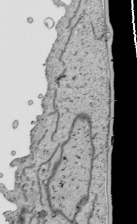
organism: Human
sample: Mitochondria in HCT116 cells